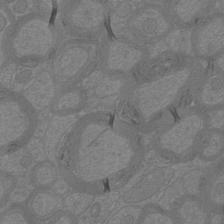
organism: Mouse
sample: Cortical neurons